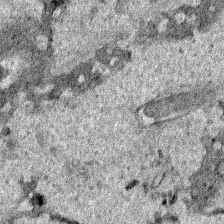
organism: Human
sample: Mitochondria in HCT116 cells